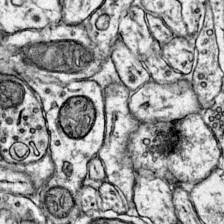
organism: Mouse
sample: Primary visual cortex